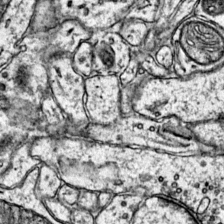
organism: Mouse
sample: Primary visual cortex